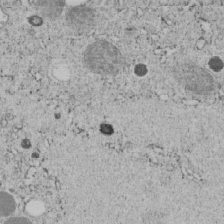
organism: C. elegans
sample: C. elegans embryo early stage